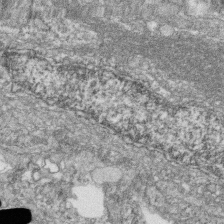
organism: Zebrafish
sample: Cilia; retinal pigment epithelium